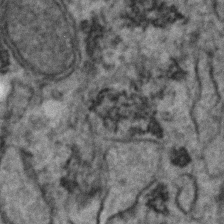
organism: Human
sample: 1205lu cells